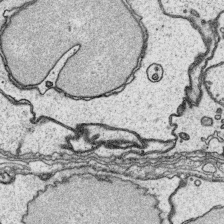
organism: Platynereis dumerilii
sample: Parapodia